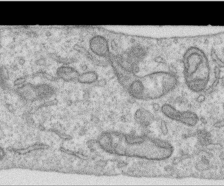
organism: Human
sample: Centriole in RPE cells